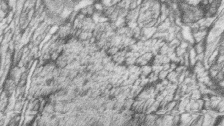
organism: Zebrafish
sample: synaptic ribbons in rod cells and cone cells